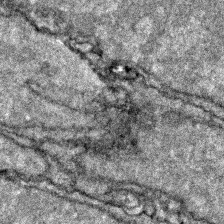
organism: Zebrafish